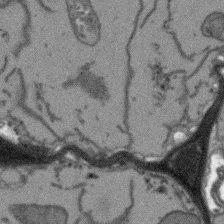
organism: Arabidopsis thaliana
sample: Root tip